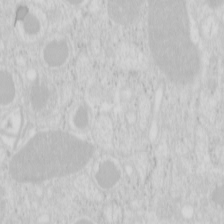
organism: Mouse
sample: Pancreas